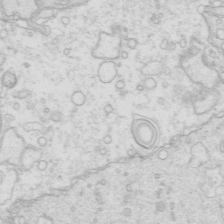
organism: Mouse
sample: Multiciliated cells